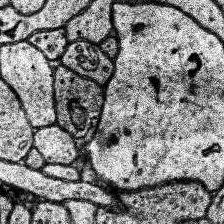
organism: Human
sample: Temporal Lobe